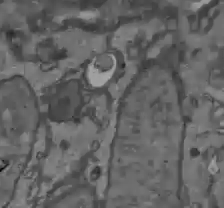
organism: C57BL Mouse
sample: Liver